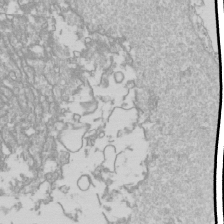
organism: Drosophila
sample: Cell division; meiosis; drosophila spermatocytes